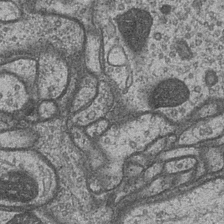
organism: Drosophila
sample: Optic medulla